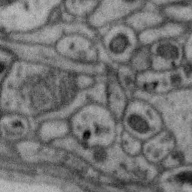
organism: Zebra finch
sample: Brain